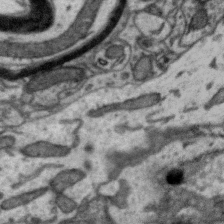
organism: Zebra finch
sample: Brain